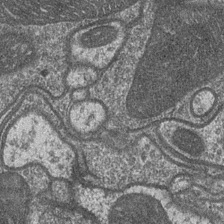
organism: Drosophila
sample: Optic medulla